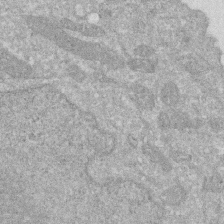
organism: Human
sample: HIV infected U937 cells